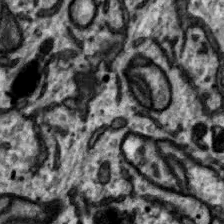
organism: Human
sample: HeLa cells